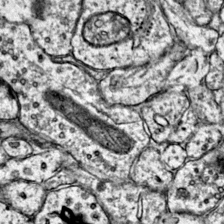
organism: Mouse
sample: Primary visual cortex